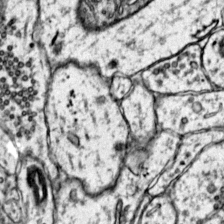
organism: Mouse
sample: Primary visual cortex